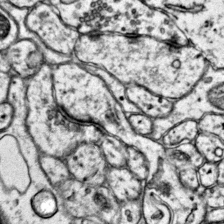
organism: Mouse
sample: Primary visual cortex